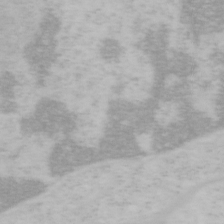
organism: Mouse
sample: OT-I killer T cells with ID8 ovarian cancer cells